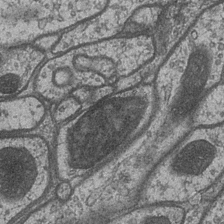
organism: Drosophila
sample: Optic medulla